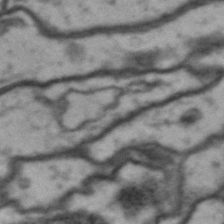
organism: Drosophila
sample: Brain